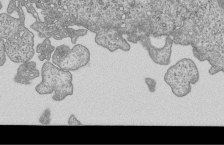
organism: Human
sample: MDA-MB-231 cells